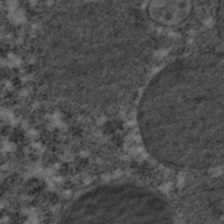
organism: C. elegans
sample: C. elegans embryo